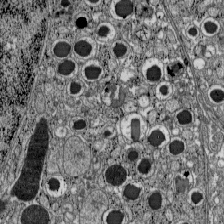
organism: C57BL Mouse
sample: Pancreatic islet